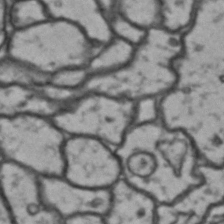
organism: Drosophila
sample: Brain